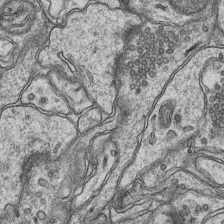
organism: Mouse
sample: CA1 Hippocampus